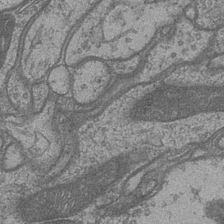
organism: Drosophila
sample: Optic medulla